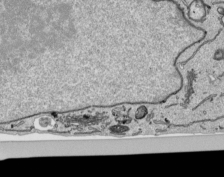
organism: Human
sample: Mitochondria in HCT116 cells